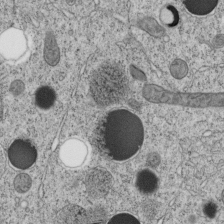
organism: C. elegans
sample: C. elegans embryo early stage